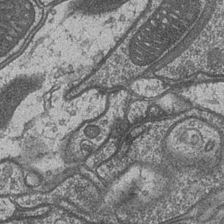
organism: Drosophila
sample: Optic medulla